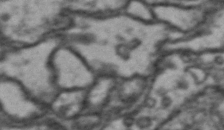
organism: Drosophila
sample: Brain